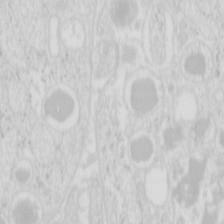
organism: Mouse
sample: Pancreas